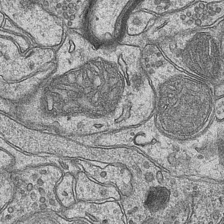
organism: Mouse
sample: CA1 Hippocampus